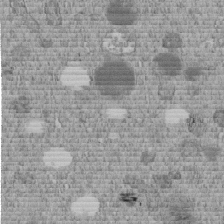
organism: C. elegans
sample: C. elegans embryo early stage